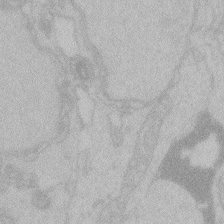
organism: Zebrafish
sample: Macrophage infected with Toxoplasma gondii